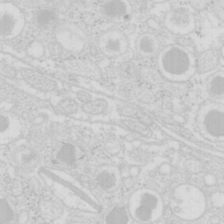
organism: Mouse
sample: Pancreas